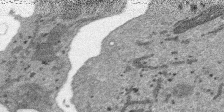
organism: Human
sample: Lung epithelial cells infected with SARS-CoV-2